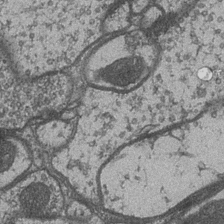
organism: Drosophila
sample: Optic medulla